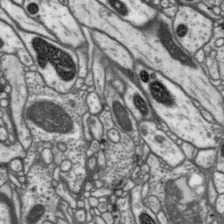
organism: Drosophila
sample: Protocerebral bridge